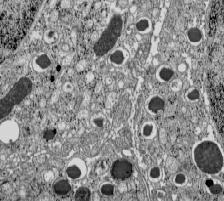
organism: C57BL Mouse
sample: Pancreatic islet